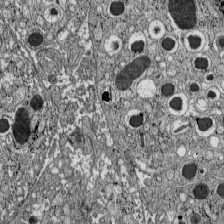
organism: C57BL Mouse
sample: Pancreatic islet